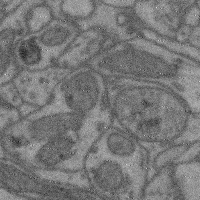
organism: Mouse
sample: Cerebral cortex